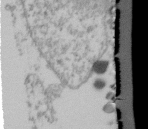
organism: Human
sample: U2-OS cells